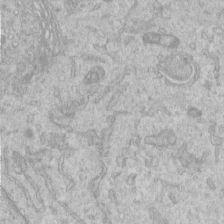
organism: Human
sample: Centriole in RPE cells